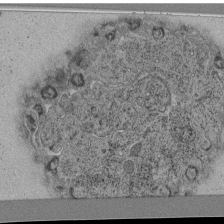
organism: C. elegans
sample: C. elegans pharynx